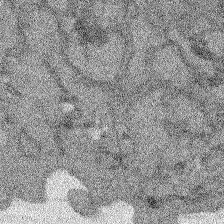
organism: Human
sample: HeLa cells